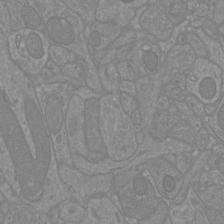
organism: Mouse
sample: Cortical neurons